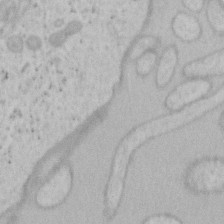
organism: Human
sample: HeLa cells